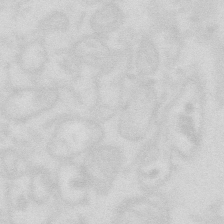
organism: Human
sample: HeLa cells